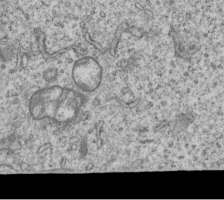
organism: Human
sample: MDA-MB-231 cells